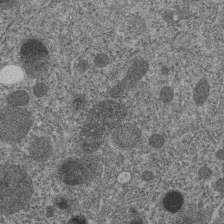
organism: C. elegans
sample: C. elegans embryo early stage